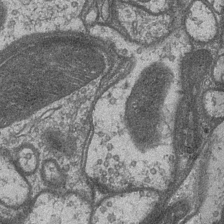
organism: Drosophila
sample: Optic medulla